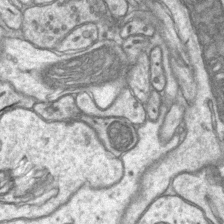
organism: Mouse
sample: CA1 Hippocampus